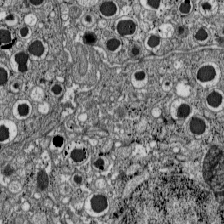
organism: C57BL Mouse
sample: Pancreatic islet